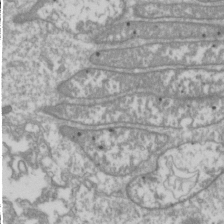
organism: Drosophila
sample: Cell division; meiosis; drosophila spermatocytes